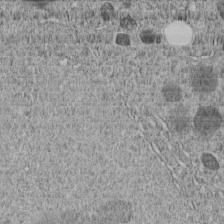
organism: C. elegans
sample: C. elegans embryo early stage